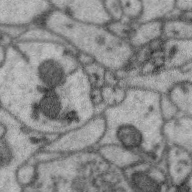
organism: Zebra finch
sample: Brain